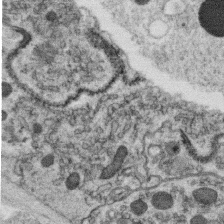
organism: C. elegans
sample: C. elegans oocyte; sperm cells